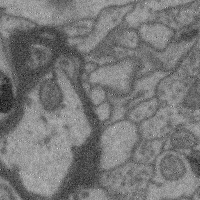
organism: Mouse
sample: Cerebral cortex